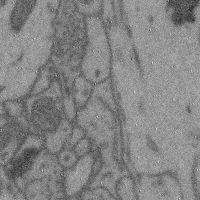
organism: Mouse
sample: Cerebral cortex